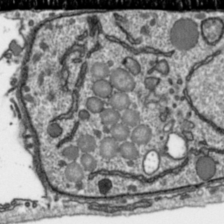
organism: Toxoplasma gondii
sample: Parasites in a vacuole inside a host cell